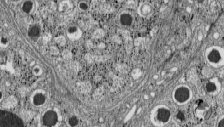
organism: C57BL Mouse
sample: Pancreatic islet